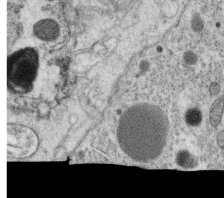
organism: C. elegans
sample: C. elegans oocyte; sperm cells